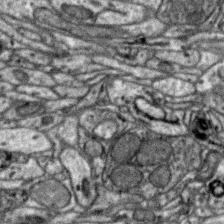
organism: Zebra finch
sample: Brain